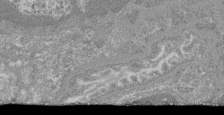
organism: Mouse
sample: Glomerulus